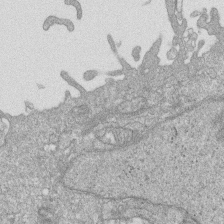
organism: Human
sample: HeLa cell HIV synapse